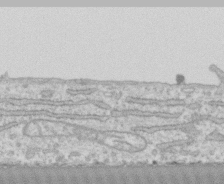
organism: Human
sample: CRL-1474